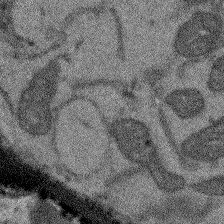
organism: Arabidopsis thaliana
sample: Root tip